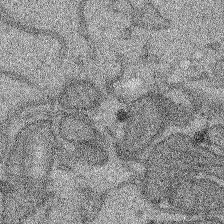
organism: Human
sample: HeLa cells